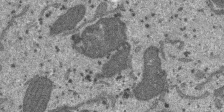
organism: Human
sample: Lung epithelial cells infected with SARS-CoV-2